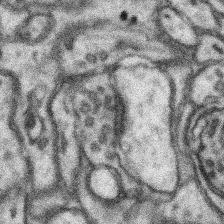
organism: Mouse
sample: Somatosensory cortex neuropil